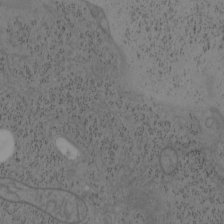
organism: Mouse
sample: OT-I killer T cells with ID8 ovarian cancer cells